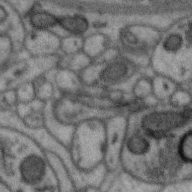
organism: Zebra finch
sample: Brain